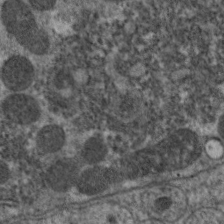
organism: C. elegans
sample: Pharynx